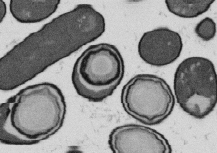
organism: B. subtilis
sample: Bacterial spore